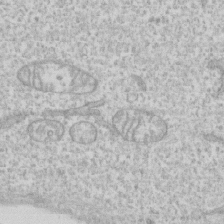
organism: Human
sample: CRL-1474